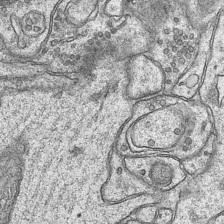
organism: Mouse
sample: CA1 Hippocampus